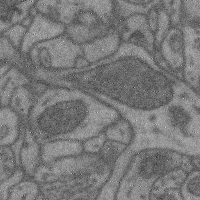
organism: Mouse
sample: Cerebral cortex